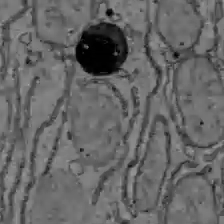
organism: C57BL Mouse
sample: Liver